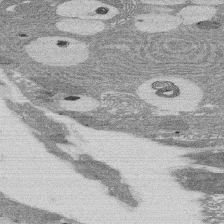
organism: Rat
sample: Salivary granule